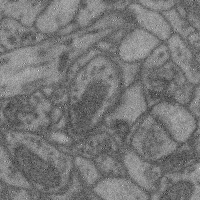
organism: Mouse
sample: Cerebral cortex